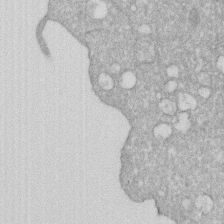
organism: Human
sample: HIV infected U937 cells